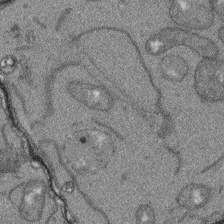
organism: Arabidopsis thaliana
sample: Root tip